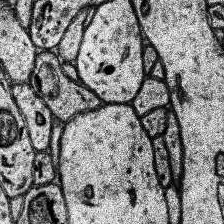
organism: Human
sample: Temporal Lobe